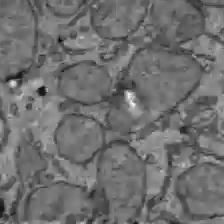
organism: C57BL Mouse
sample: Liver